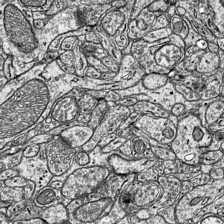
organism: Mouse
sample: Visual Cortex